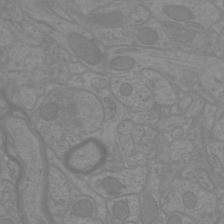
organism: Mouse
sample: Cortical neurons